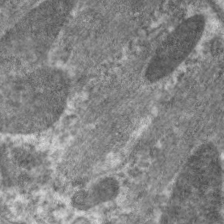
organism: C. elegans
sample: Pharynx